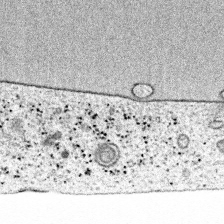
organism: Human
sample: HeLa cells